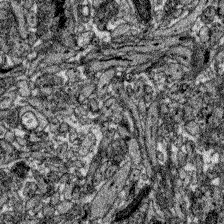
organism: Zebrafish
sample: Larval olfactory bulb